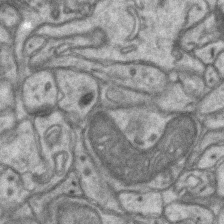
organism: Mouse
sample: CA1 Hippocampus